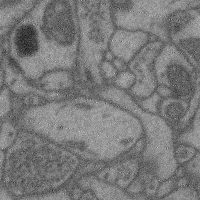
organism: Mouse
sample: Cerebral cortex